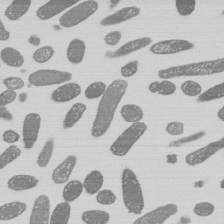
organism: E. coli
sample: Bacterial nucleoid